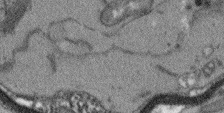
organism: Arabidopsis thaliana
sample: Root tip